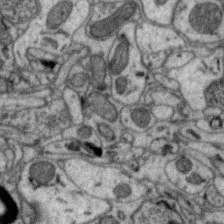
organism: Zebra finch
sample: Brain